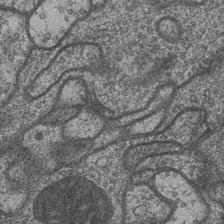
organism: Drosophila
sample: Optic medulla